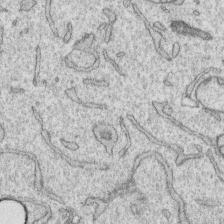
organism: Human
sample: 1205lu cells